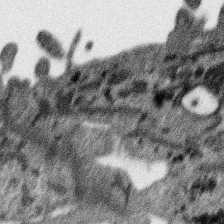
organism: Human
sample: Lung epithelial cells infected with SARS-CoV-2